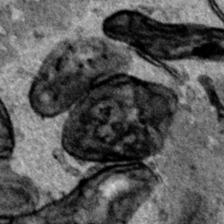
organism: Human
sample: Mitochondria in HCT116 cells